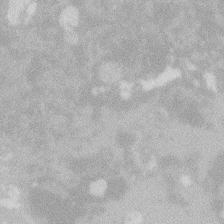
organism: Zebrafish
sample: Macrophage